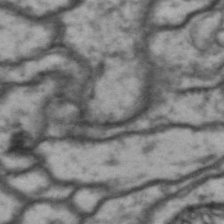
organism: Drosophila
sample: Brain